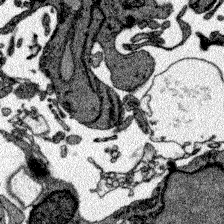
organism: Zebrafish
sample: Larval olfactory bulb